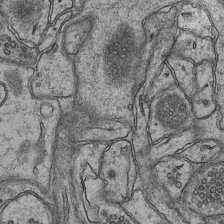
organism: Mouse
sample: CA1 Hippocampus